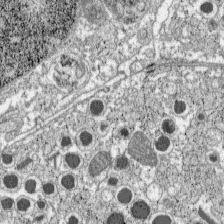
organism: C57BL Mouse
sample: Pancreatic islet